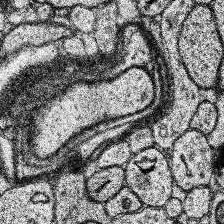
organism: Human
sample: Temporal Lobe